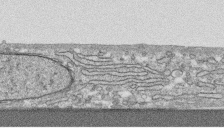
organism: Human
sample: CRL-1474